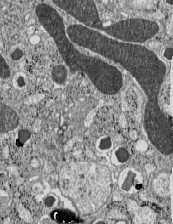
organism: C57BL Mouse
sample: Pancreatic islet